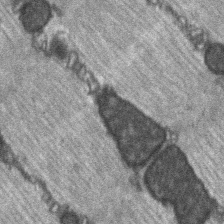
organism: C57BL Mouse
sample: Soleus